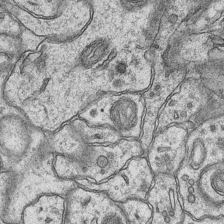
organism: Mouse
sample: CA1 Hippocampus